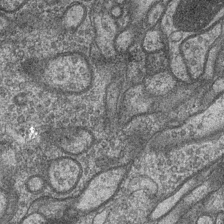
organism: Drosophila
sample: Optic medulla